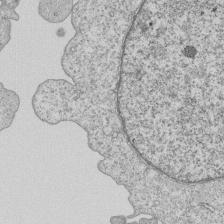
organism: Human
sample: MDA-MB-231 cells